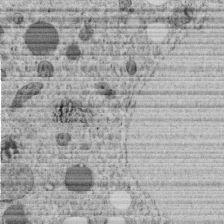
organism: C. elegans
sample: C. elegans embryo early stage